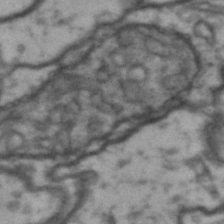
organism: Drosophila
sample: Brain